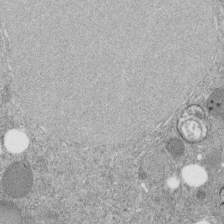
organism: C. elegans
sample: C. elegans embryo early stage